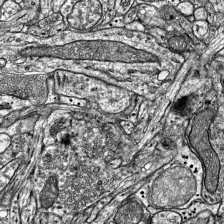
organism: Mouse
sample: Visual Cortex